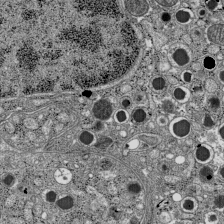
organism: C57BL Mouse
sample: Pancreatic islet